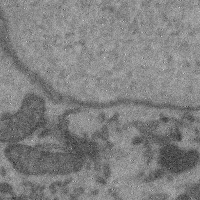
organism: Mouse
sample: Cerebral cortex